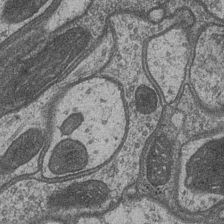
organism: Drosophila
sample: Optic medulla